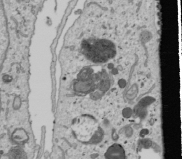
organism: Human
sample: Mitochondria in U2OS cells